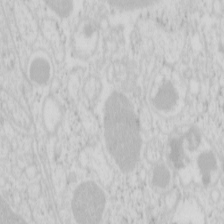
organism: Mouse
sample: Pancreas